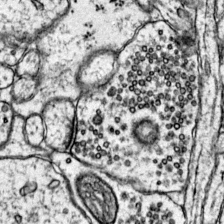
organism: Mouse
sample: Primary visual cortex